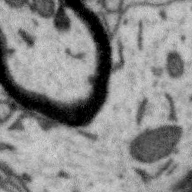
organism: Zebra finch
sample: Brain